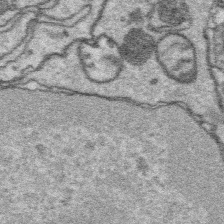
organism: Platynereis dumerilii